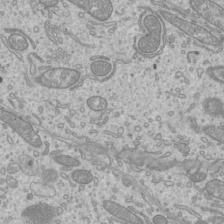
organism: Mouse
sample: Cilia; mouse epididymis